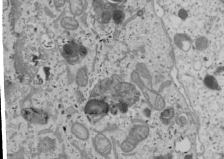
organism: Human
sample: Mitochondria in U2OS cells